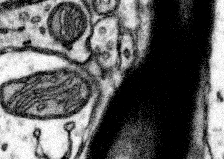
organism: Mouse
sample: Somatosensory cortex neuropil